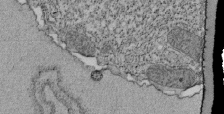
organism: Tetrahymena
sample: Cilia in tetrahymena